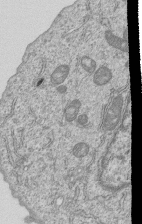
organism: Human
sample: MDA-MB-231 cells